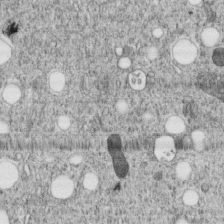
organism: C. elegans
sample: C. elegans embryo early stage